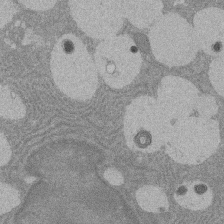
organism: Rat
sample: Salivary granule